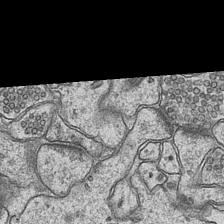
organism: Mouse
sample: CA1 Hippocampus